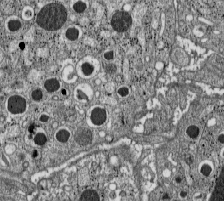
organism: C57BL Mouse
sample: Pancreatic islet